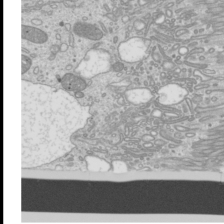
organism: Mouse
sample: Cilia; mouse epididymis